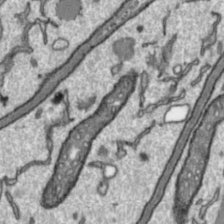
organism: Toxoplasma gondii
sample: Parasites in a vacuole inside a host cell